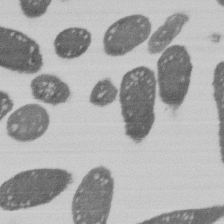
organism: E. coli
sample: Bacterial nucleoid